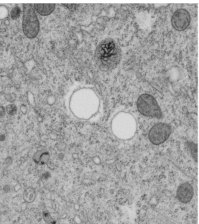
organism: C. elegans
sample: C. elegans embryo early stage